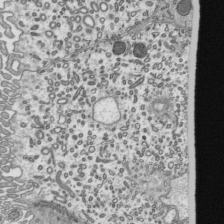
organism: Mouse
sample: Mouse epididymis efferent ductule cilia